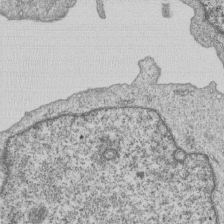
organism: Human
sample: MDA-MB-231 cells